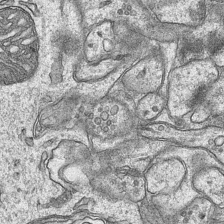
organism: Mouse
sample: CA1 Hippocampus